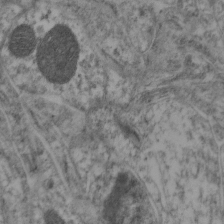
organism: Mouse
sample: Neocortex